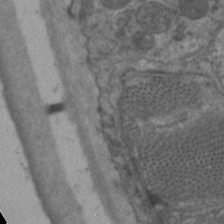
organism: C. elegans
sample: Pharynx